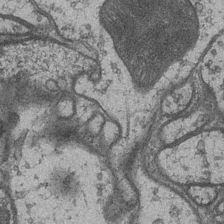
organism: Drosophila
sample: Optic medulla